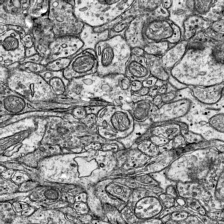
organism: Mouse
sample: Visual Cortex